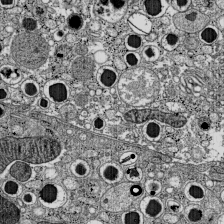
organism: C57BL Mouse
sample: Pancreatic islet